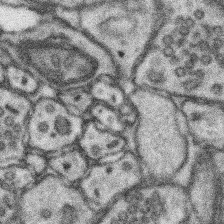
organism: Mouse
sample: Somatosensory cortex neuropil